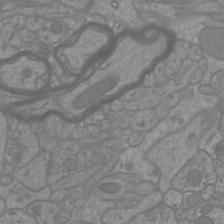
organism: Mouse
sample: Cortical neurons